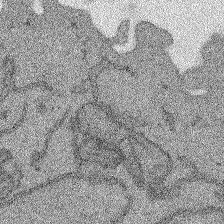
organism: Human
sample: HeLa cells